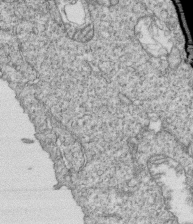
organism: Human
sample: HeLa cell HIV synapse